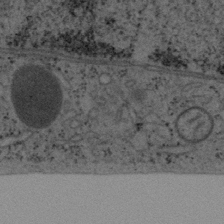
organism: Human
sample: HeLa cells